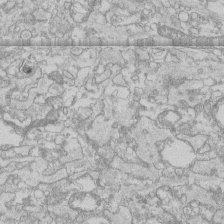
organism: Human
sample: CRL-1474